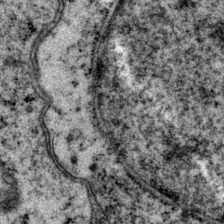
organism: P. pacificus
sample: Pharynx